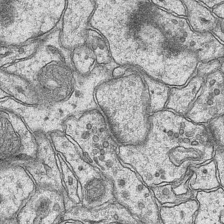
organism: Mouse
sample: CA1 Hippocampus